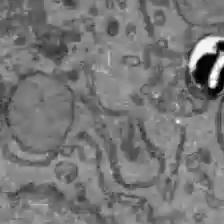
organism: C57BL Mouse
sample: Liver